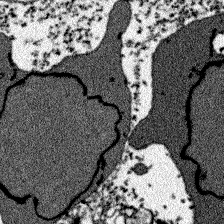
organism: Zebrafish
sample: Larval olfactory bulb